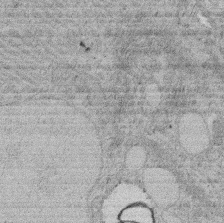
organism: Rat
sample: Salivary granule